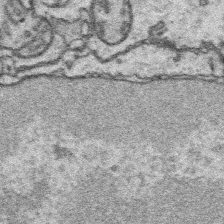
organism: Platynereis dumerilii